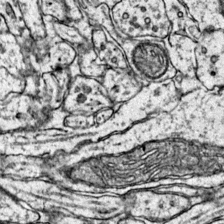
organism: Mouse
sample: Primary visual cortex